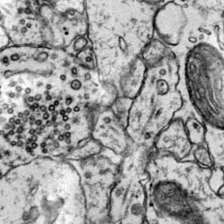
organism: Mouse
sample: Primary visual cortex